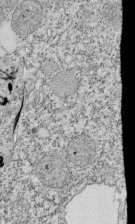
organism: Tetrahymena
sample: Cilia in tetrahymena